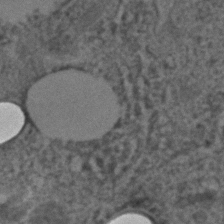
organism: C. elegans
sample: C. elegans embryo